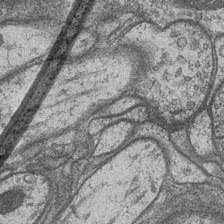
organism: Drosophila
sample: Optic medulla